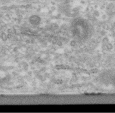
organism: Human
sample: Centriole in RPE cells